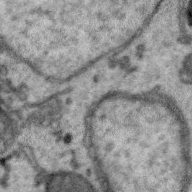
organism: Zebra finch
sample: Brain